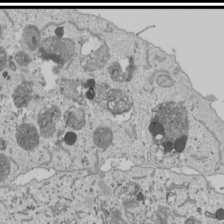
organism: Human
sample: Mitochondria in U2OS cells